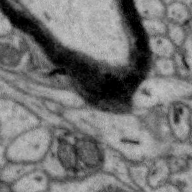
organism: Zebra finch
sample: Brain